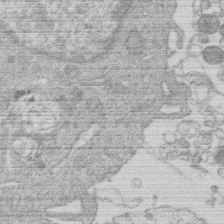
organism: Human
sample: Macrophage cells